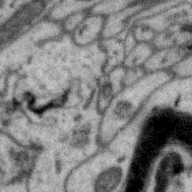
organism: Zebra finch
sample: Brain